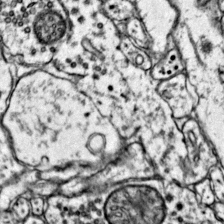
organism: Mouse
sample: Primary visual cortex